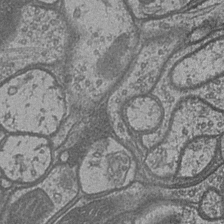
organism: Drosophila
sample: Optic medulla